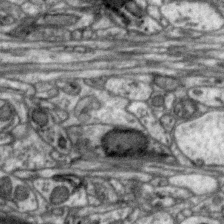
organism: Zebra finch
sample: Brain